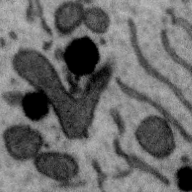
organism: Zebra finch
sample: Brain